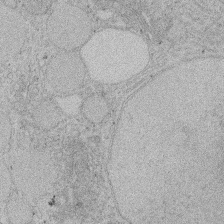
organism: Rat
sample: Salivary granule